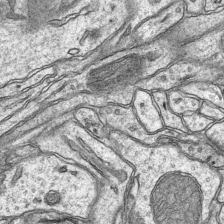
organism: Mouse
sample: CA1 Hippocampus